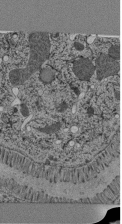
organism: C. elegans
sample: C. elegans pharynx